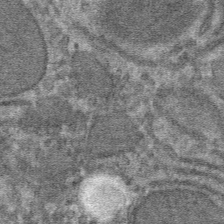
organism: Mouse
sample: Mouse hepatocytes